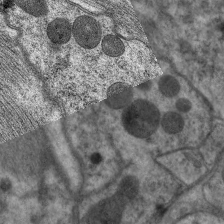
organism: C. elegans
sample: Pharynx